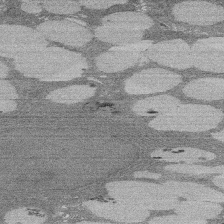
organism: Rat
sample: Salivary granule